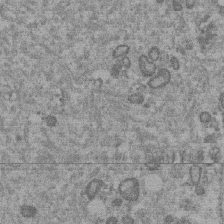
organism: Mouse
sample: Dividing mouse embryo 1 cell stage